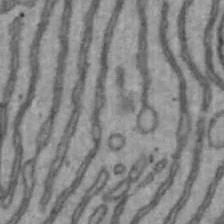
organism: Mouse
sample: Liver